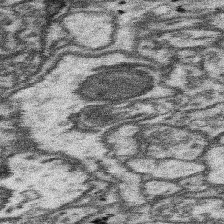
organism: Mouse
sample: Somatosensory cortex neuropil